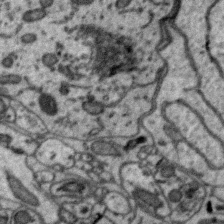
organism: Zebra finch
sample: Brain